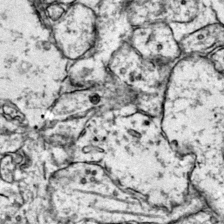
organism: Mouse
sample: Primary visual cortex